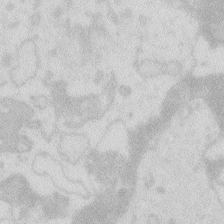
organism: Zebrafish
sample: Macrophage